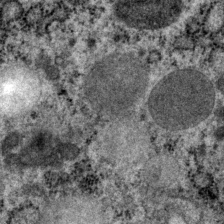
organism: P. pacificus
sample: Pharynx